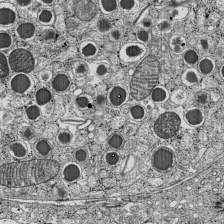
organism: C57BL Mouse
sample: Pancreatic islet